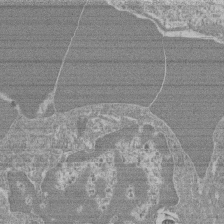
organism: Mouse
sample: Glomerulus